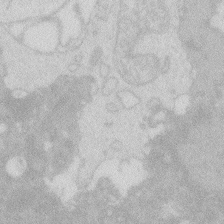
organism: Zebrafish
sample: Macrophage